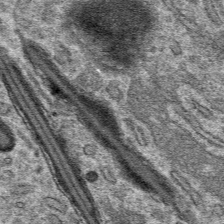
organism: Mouse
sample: Mouse hepatocytes